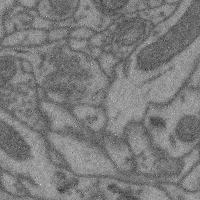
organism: Mouse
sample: Cerebral cortex